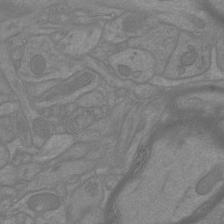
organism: Mouse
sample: Cortical neurons